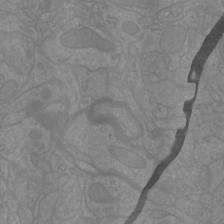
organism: Mouse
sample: Cortical neurons